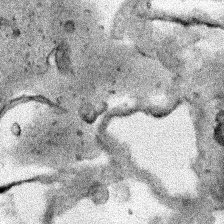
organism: Human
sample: Mitochondria in HCT116 cells